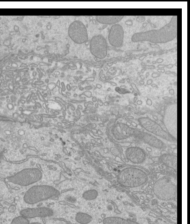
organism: Mouse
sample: Cilia; mouse epididymis